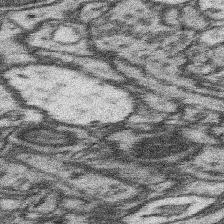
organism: Mouse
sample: Somatosensory cortex neuropil